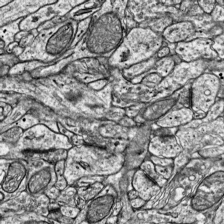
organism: Mouse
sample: Visual Cortex